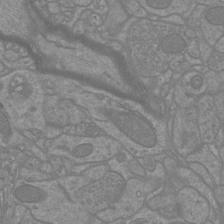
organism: Mouse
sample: Cortical neurons